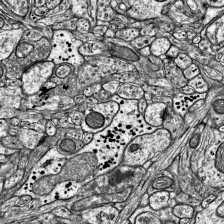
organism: Mouse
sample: Visual Cortex